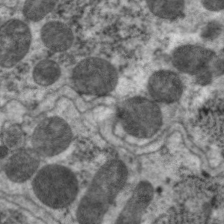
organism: C. elegans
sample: Pharynx